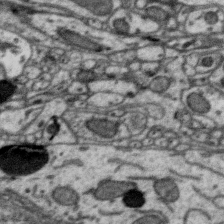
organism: Zebra finch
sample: Brain